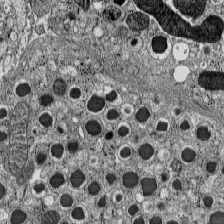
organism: C57BL Mouse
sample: Pancreatic islet